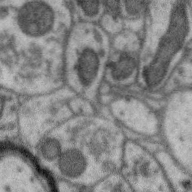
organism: Zebra finch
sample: Brain